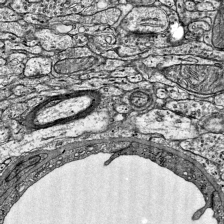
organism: Mouse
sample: Visual Cortex